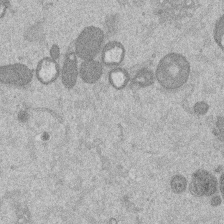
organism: Mouse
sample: Dividing mouse embryo 1 cell stage